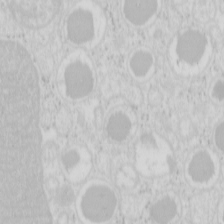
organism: Mouse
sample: Pancreas